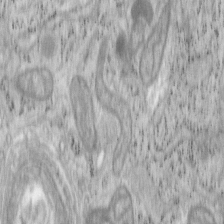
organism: Human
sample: HeLa cells